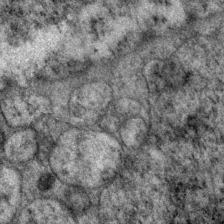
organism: P. pacificus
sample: Pharynx